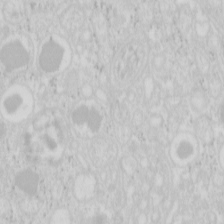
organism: Mouse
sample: Pancreas